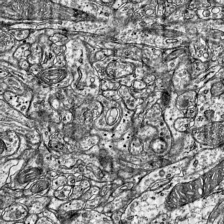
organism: Mouse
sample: Visual Cortex